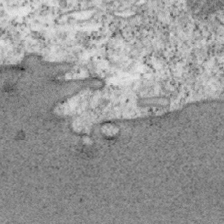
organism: Mouse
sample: OT-I killer T cells with ID8 ovarian cancer cells